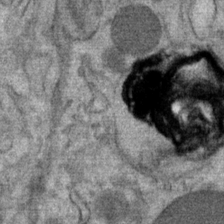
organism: Mouse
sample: Mouse Salivary gland